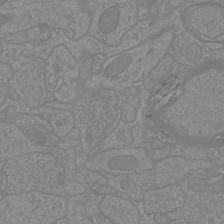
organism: Mouse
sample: Cortical neurons